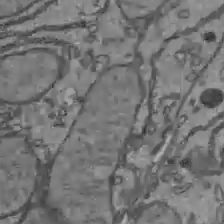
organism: C57BL Mouse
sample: Liver